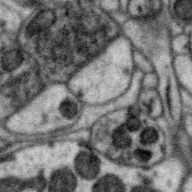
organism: Zebra finch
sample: Brain